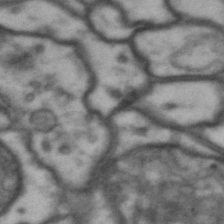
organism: Drosophila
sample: Brain